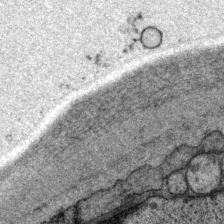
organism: P. pacificus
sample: Pharynx